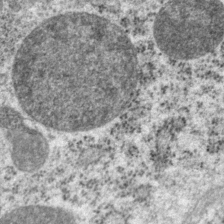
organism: P. pacificus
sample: Pharynx